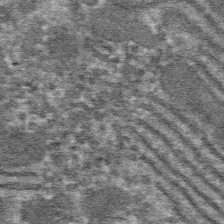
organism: Mouse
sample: Mouse hepatocytes